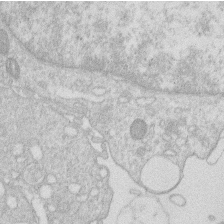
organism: Human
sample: Macrophage cells